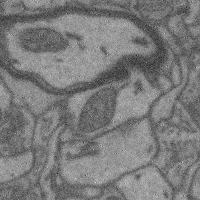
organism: Mouse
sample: Cerebral cortex